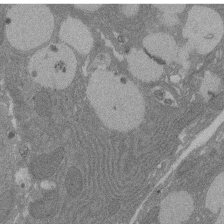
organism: Rat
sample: Salivary granule